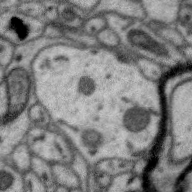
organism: Zebra finch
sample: Brain